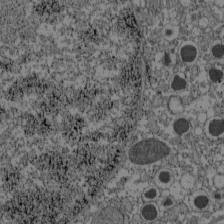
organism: C57BL Mouse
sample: Pancreatic islet